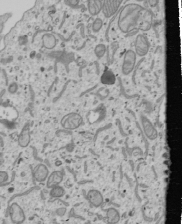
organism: Human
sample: Mitochondria in U2OS cells